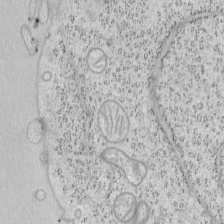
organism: Mouse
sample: OT-I killer T cells with ID8 ovarian cancer cells